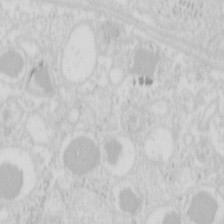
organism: Mouse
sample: Pancreas